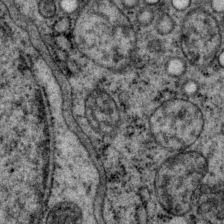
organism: P. pacificus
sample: Pharynx